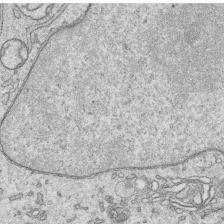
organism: Human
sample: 1205lu cells